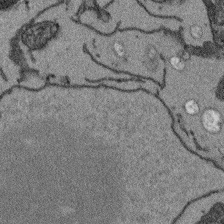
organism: Arabidopsis thaliana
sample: Root tip